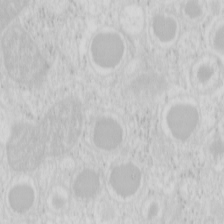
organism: Mouse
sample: Pancreas